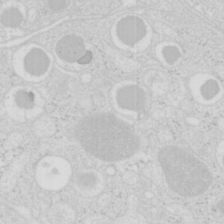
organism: Mouse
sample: Pancreas